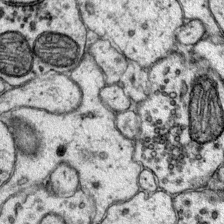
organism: Mouse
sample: Primary visual cortex